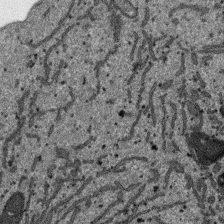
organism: Human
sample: Lung epithelial cells infected with SARS-CoV-2